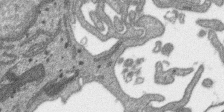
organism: Human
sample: Lung epithelial cells infected with SARS-CoV-2